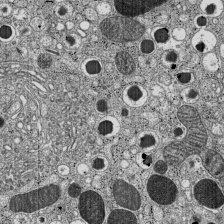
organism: C57BL Mouse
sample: Pancreatic islet